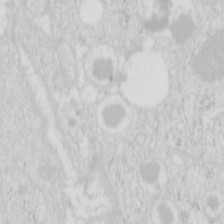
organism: Mouse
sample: Pancreas